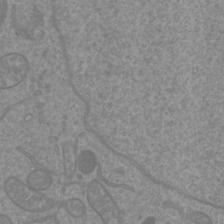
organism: Mouse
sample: Cortical neurons